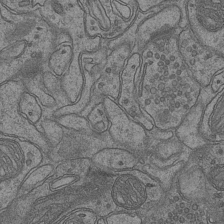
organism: Mouse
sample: CA1 Hippocampus